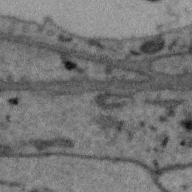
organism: Zebra finch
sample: Brain